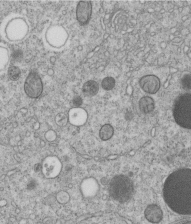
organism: C. elegans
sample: C. elegans embryo early stage